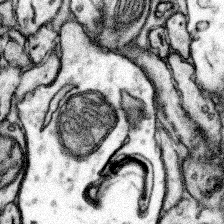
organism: Mouse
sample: Somatosensory cortex neuropil